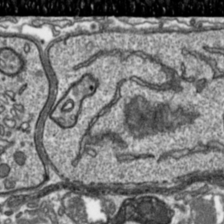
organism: Toxoplasma gondii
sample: Parasites in a vacuole inside a host cell